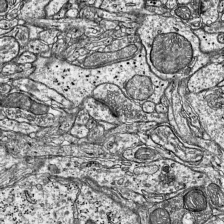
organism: Mouse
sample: Visual Cortex